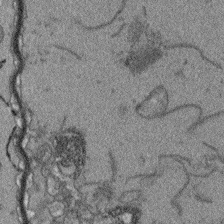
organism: Arabidopsis thaliana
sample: Root tip